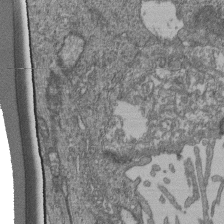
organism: Human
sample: Retinal organoid Rod and Cone cells